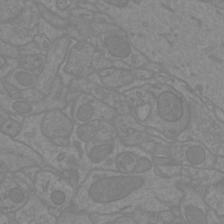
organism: Mouse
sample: Cortical neurons